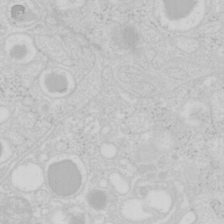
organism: Mouse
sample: Pancreas